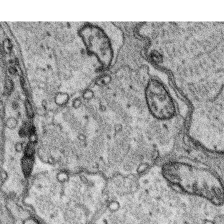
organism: Platynereis dumerilii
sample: Parapodia